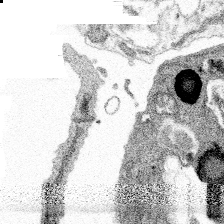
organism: Spongilla lacustris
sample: Multiple